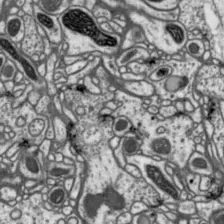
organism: Drosophila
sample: Protocerebral bridge